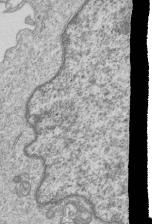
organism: Human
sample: MDA-MB-231 cells